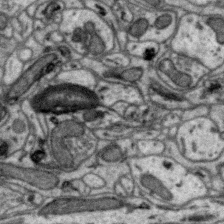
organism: Zebra finch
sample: Brain